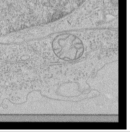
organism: Human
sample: Mitochondria in HCT116 cells